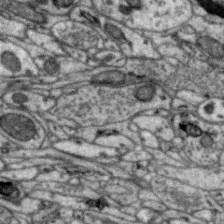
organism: Zebra finch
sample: Brain